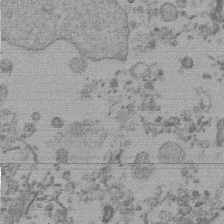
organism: Mouse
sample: Dividing mouse embryo 1 cell stage